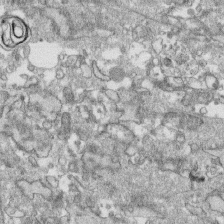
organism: Human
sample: CRL-1474